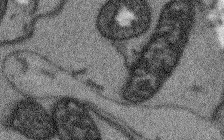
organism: Arabidopsis thaliana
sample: Root tip